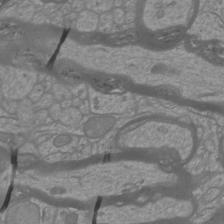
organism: Mouse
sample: Cortical neurons